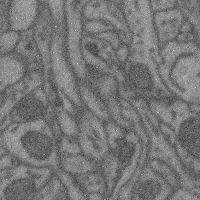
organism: Mouse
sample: Cerebral cortex